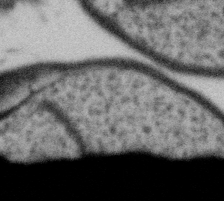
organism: Gemmata obscuriglobus